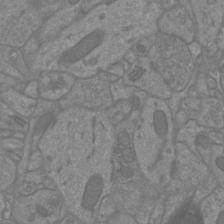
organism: Mouse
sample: Cortical neurons